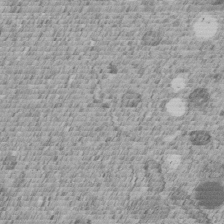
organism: C. elegans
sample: C. elegans embryo early stage